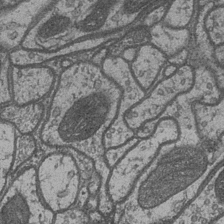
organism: Drosophila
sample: Optic medulla